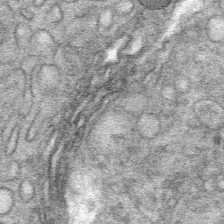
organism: Mouse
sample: Mouse Salivary gland